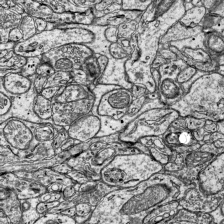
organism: Mouse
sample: Visual Cortex